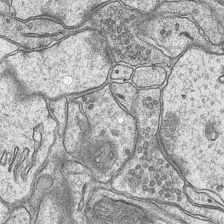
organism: Mouse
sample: CA1 Hippocampus